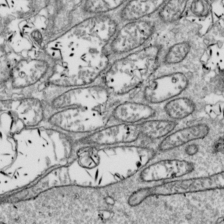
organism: Drosophila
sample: Cell division; meiosis; drosophila spermatocytes